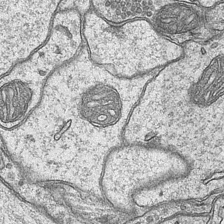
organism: Mouse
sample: CA1 Hippocampus